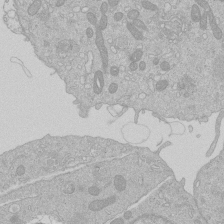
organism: Human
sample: Macrophage cells